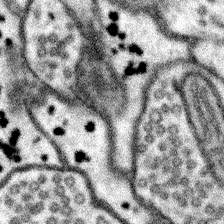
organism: Mouse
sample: Somatosensory cortex neuropil